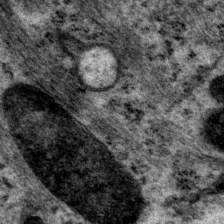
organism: P. pacificus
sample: Pharynx